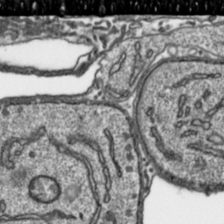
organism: Toxoplasma gondii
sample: Parasites in a vacuole inside a host cell